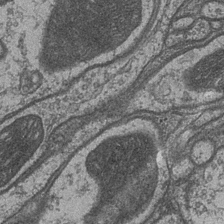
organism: Drosophila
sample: Optic medulla